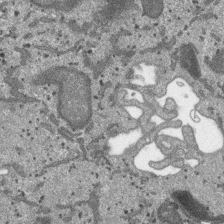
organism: Human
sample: Lung epithelial cells infected with SARS-CoV-2